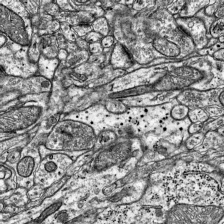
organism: Mouse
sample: Visual Cortex